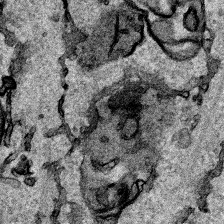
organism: Human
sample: Mitochondria in HCT116 cells